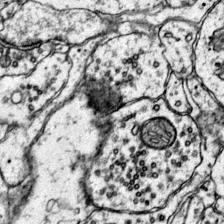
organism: Mouse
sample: Primary visual cortex